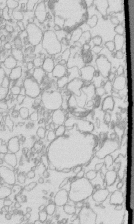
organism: Mouse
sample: Macrophages